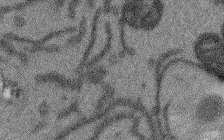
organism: Arabidopsis thaliana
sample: Root tip